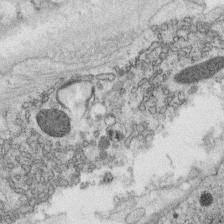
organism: C. elegans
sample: C. elegans oocyte; sperm cells